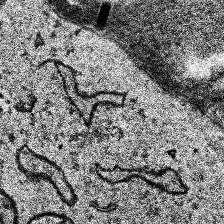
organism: Human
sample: Temporal Lobe